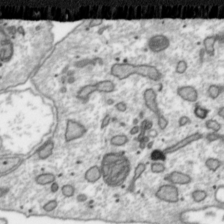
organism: Toxoplasma gondii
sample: Parasites in a vacuole inside a host cell